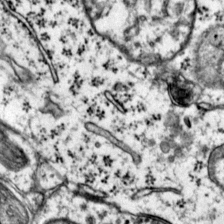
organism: Mouse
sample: Primary visual cortex